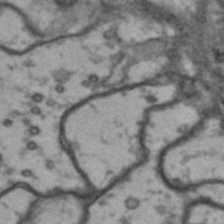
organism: Drosophila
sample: Brain